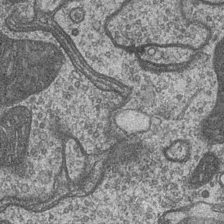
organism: Drosophila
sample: Optic medulla